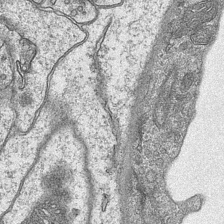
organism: Mouse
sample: CA1 Hippocampus